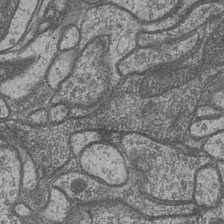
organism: Drosophila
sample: Optic medulla